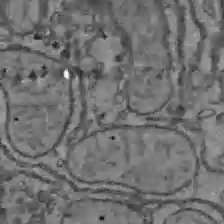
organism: C57BL Mouse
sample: Liver